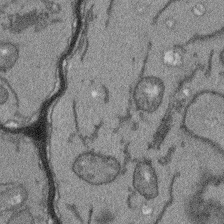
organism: Arabidopsis thaliana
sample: Root tip